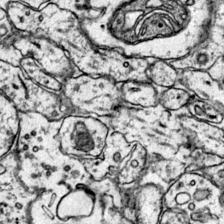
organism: Mouse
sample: Primary visual cortex